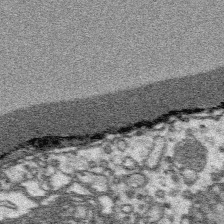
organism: Platynereis dumerilii